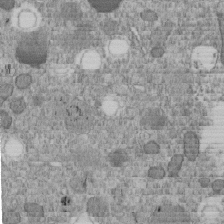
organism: C. elegans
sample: C. elegans embryo early stage